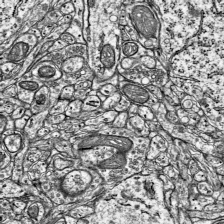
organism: Mouse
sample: Visual Cortex